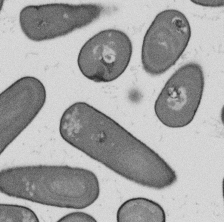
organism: B. subtilis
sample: Bacterial spore